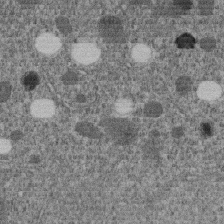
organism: C. elegans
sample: C. elegans embryo early stage